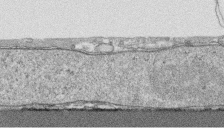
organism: Human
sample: CRL-1474